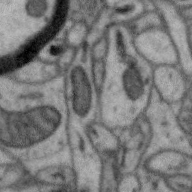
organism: Zebra finch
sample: Brain